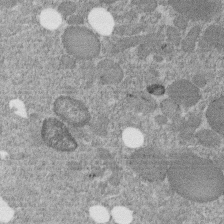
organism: C. elegans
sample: C. elegans embryo early stage